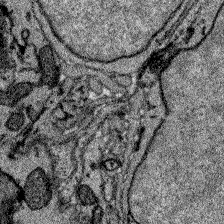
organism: Zebrafish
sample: Larval olfactory bulb